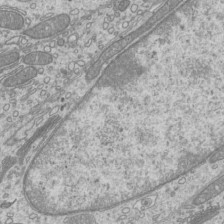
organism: Mouse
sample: Cilia; mouse epididymis